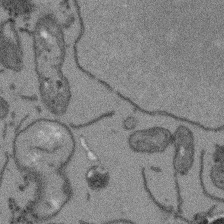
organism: Arabidopsis thaliana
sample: Root tip